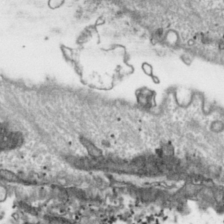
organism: Toxoplasma gondii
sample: Parasites in a vacuole inside a host cell